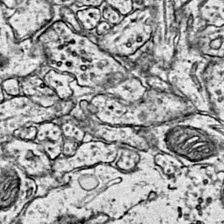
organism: Mouse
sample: Primary visual cortex